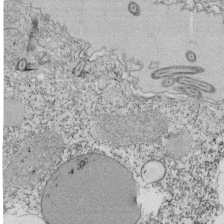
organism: Tetrahymena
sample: Cilia in tetrahymena